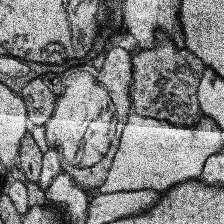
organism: Human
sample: Temporal Lobe